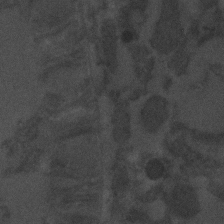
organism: C. elegans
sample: C. elegans embryo